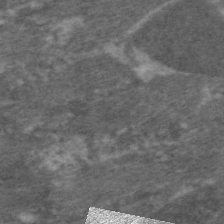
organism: C. elegans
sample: Pharynx